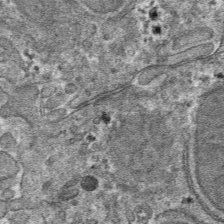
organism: Mouse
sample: Mouse hepatocytes